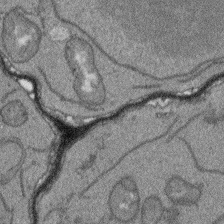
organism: Arabidopsis thaliana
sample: Root tip